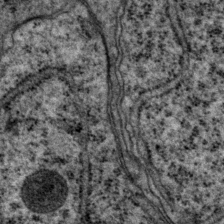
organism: P. pacificus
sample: Pharynx